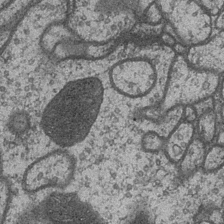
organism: Drosophila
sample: Optic medulla